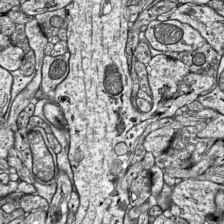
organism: Mouse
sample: Visual Cortex